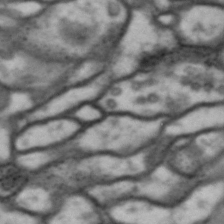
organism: Drosophila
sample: Brain